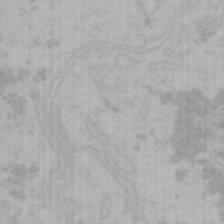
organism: Mouse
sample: Choroid plexus